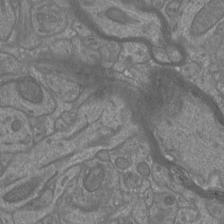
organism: Mouse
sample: Cortical neurons